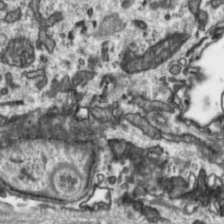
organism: Toxoplasma gondii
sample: Parasites in a vacuole inside a host cell